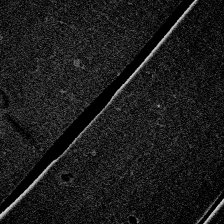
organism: Zebrafish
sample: Whole-Brain